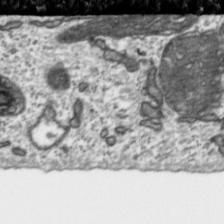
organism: Toxoplasma gondii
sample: Parasites in a vacuole inside a host cell